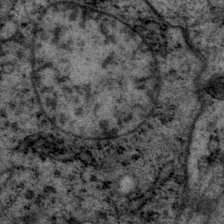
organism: P. pacificus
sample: Pharynx